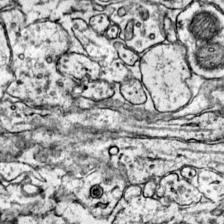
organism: Mouse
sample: Primary visual cortex